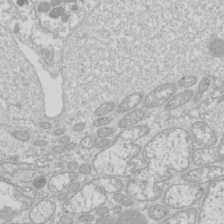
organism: Drosophila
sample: Cell division; meiosis; drosophila spermatocytes